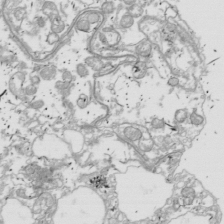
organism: Drosophila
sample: Cell division; meiosis; drosophila spermatocytes